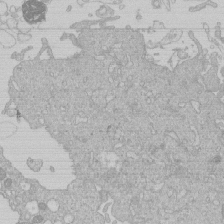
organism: Human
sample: Macrophage cells